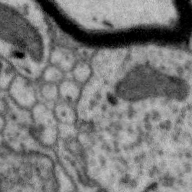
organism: Zebra finch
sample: Brain